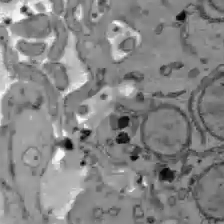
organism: C57BL Mouse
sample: Liver